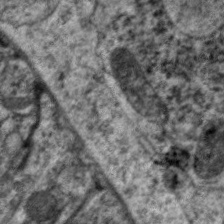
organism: C. elegans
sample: Pharynx